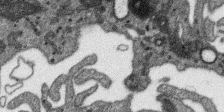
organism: Human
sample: Lung epithelial cells infected with SARS-CoV-2